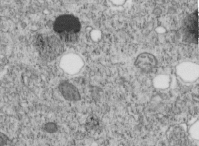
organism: C. elegans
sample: C. elegans embryo early stage